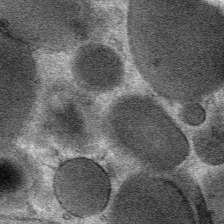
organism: Mouse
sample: Mouse Salivary gland